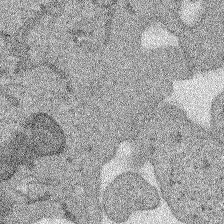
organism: Human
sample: HeLa cells